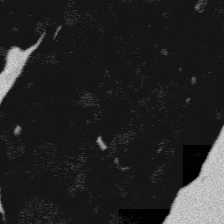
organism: Platynereis dumerilii